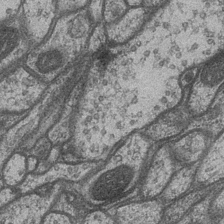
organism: Drosophila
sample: Optic medulla